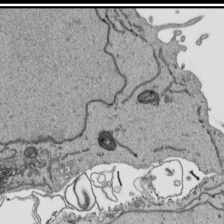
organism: Human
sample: Mitochondria in HCT116 cells